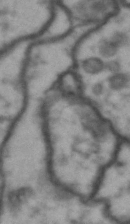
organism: Drosophila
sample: Brain